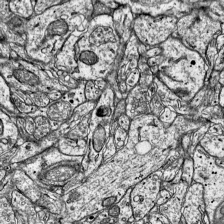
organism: Mouse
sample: Visual Cortex